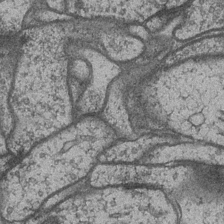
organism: Drosophila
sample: Optic medulla